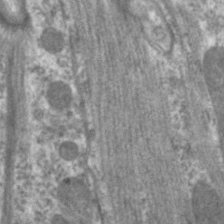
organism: C. elegans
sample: Pharynx